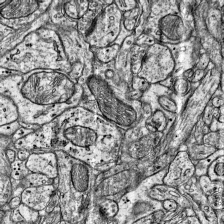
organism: Mouse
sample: Visual Cortex